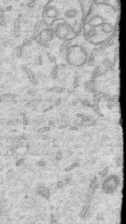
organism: Human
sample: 1205lu cells